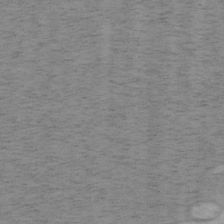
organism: Mouse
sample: OT-I killer T cells with ID8 ovarian cancer cells